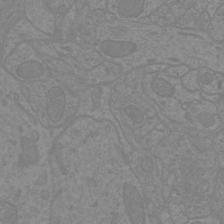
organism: Mouse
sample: Cortical neurons